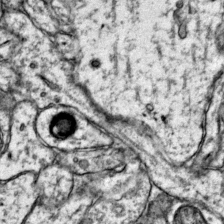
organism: Mouse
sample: Primary visual cortex